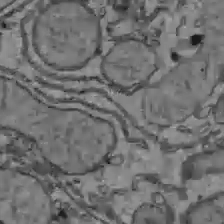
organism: C57BL Mouse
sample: Liver